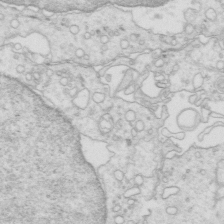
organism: Mouse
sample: Multiciliated cells